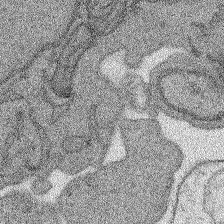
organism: Human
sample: HeLa cells